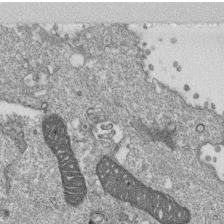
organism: African green monkey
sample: Vero E6 cells infected with SARS-CoV-2